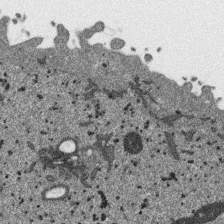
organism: Human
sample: Lung epithelial cells infected with SARS-CoV-2